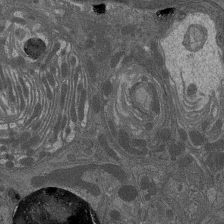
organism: Drosophila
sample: Antenna